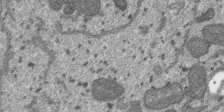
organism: Human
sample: Lung epithelial cells infected with SARS-CoV-2